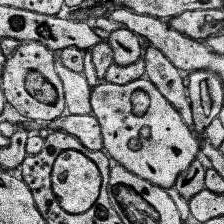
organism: Human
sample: Temporal Lobe